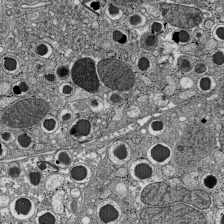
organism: C57BL Mouse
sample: Pancreatic islet